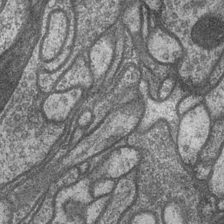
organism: Drosophila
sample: Optic medulla